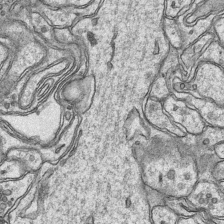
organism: Mouse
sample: CA1 Hippocampus